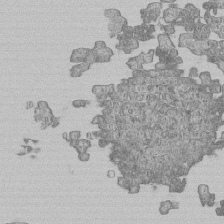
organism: Human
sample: MDA-MB-231 cells